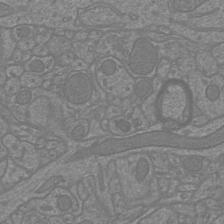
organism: Mouse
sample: Cortical neurons